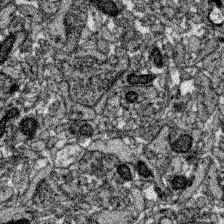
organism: Zebrafish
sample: Larval olfactory bulb